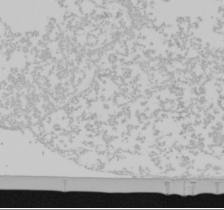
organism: Mouse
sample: Cancer cell death in ED-1 cells